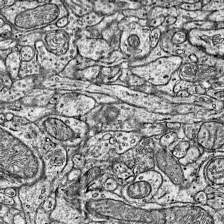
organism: Mouse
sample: Visual Cortex